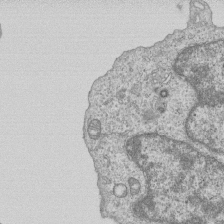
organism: Human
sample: MDA-MB-231 cells